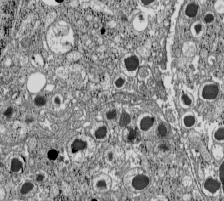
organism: C57BL Mouse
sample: Pancreatic islet